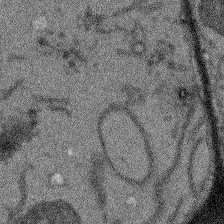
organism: Arabidopsis thaliana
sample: Root tip